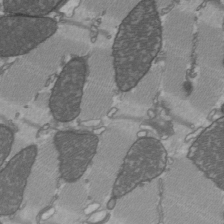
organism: C57BL Mouse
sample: Heart